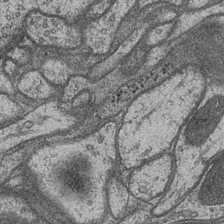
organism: Drosophila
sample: Optic medulla